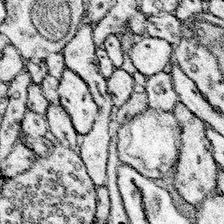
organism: Mouse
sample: Somatosensory cortex neuropil